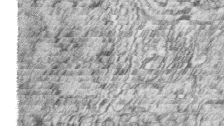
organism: Zebrafish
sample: synaptic ribbons in rod cells and cone cells